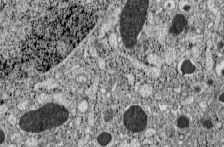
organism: C57BL Mouse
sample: Pancreatic islet